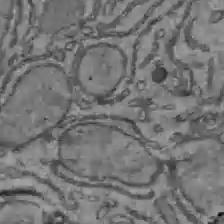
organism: C57BL Mouse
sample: Liver